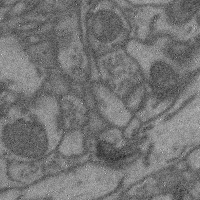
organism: Mouse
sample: Cerebral cortex